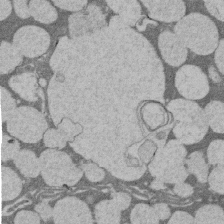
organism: Rat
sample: Salivary granule